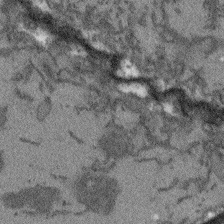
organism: Arabidopsis thaliana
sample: Root tip